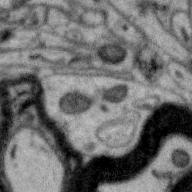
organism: Zebra finch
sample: Brain